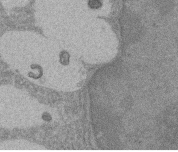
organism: Rat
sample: Salivary granule